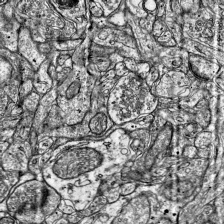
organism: Mouse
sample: Visual Cortex